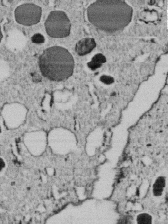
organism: C. elegans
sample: C. elegans embryo early stage